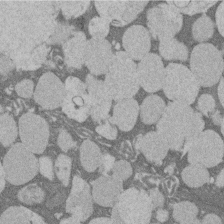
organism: Rat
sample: Salivary granule